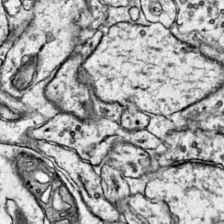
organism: Mouse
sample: Primary visual cortex